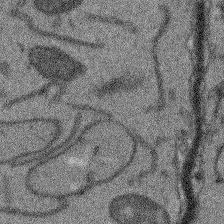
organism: Arabidopsis thaliana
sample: Root tip